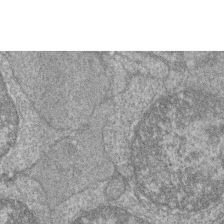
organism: Zebrafish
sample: Cilia; retinal pigment epithelium